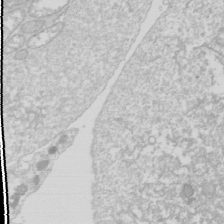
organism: Drosophila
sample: Cell division; meiosis; drosophila spermatocytes